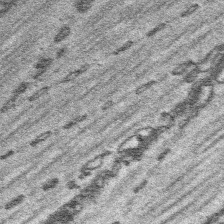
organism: Platynereis dumerilii